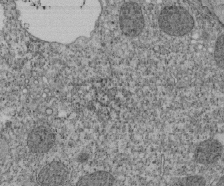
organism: Tetrahymena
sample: Cilia in tetrahymena